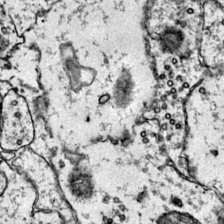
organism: Mouse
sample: Primary visual cortex